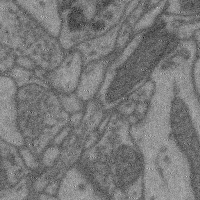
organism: Mouse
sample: Cerebral cortex